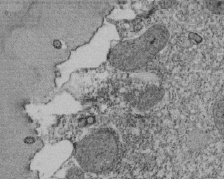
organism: Tetrahymena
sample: Cilia in tetrahymena